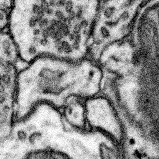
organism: Mouse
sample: Somatosensory cortex neuropil